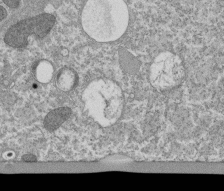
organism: Tetrahymena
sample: Cilia in tetrahymena